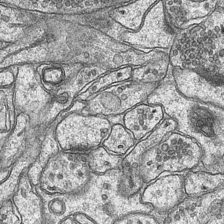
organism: Mouse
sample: CA1 Hippocampus